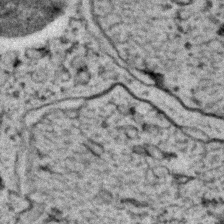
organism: C. elegans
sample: C. elegans embryo